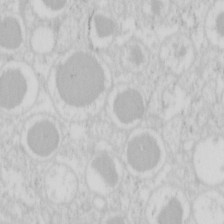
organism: Mouse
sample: Pancreas